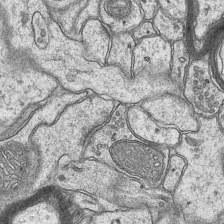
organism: Mouse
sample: CA1 Hippocampus